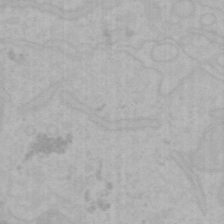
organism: Mouse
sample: Choroid plexus